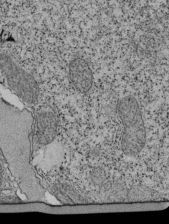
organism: Tetrahymena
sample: Cilia in tetrahymena